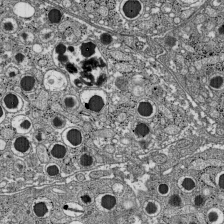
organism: C57BL Mouse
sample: Pancreatic islet